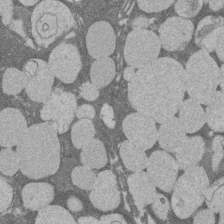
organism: Rat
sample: Salivary granule